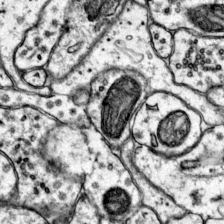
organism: Mouse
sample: Primary visual cortex